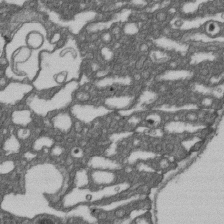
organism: Drosophila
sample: Nephrocyte